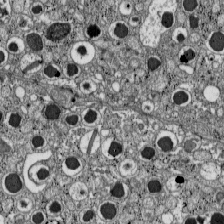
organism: C57BL Mouse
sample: Pancreatic islet